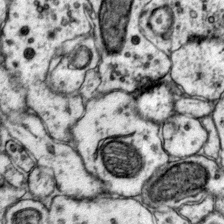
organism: Mouse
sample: Primary visual cortex